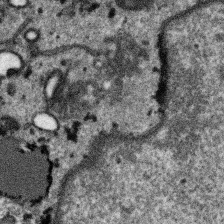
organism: Human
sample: Lung epithelial cells infected with SARS-CoV-2